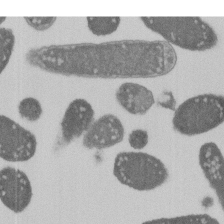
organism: E. coli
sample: Bacterial nucleoid